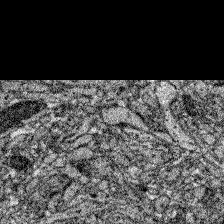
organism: Zebrafish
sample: Larval olfactory bulb